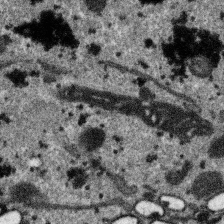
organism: Human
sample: Lung epithelial cells infected with SARS-CoV-2